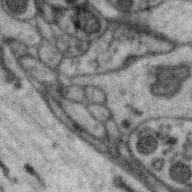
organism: Zebra finch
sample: Brain